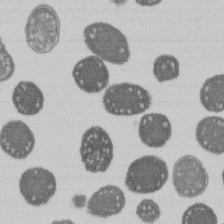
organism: E. coli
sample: Bacterial nucleoid